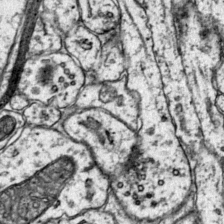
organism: Mouse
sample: Primary visual cortex